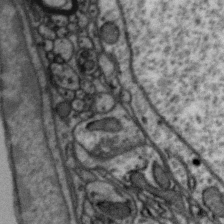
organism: Zebra finch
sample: Brain